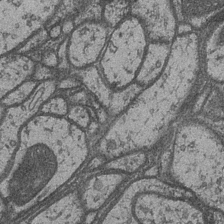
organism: Drosophila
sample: Optic medulla